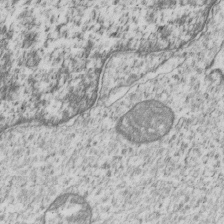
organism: Human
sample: MDA-MB-231 cells